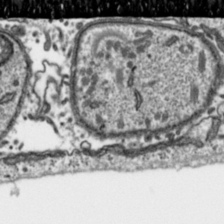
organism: Toxoplasma gondii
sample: Parasites in a vacuole inside a host cell